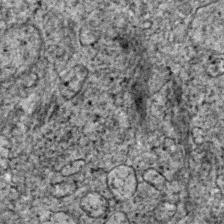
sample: Trachea